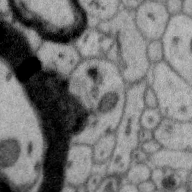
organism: Zebra finch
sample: Brain